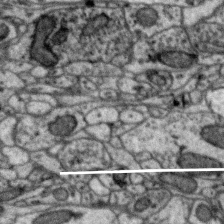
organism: Zebra finch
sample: Brain